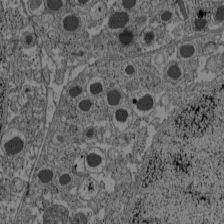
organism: C57BL Mouse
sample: Pancreatic islet